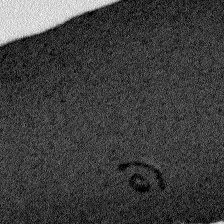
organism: Plasmodium falciparum